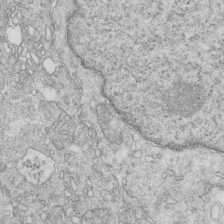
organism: Mouse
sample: Multiciliated cells